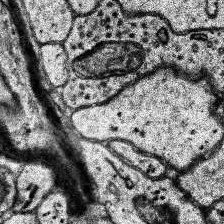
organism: Human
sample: Temporal Lobe